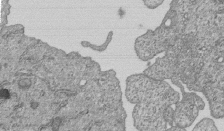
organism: Human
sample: MDA-MB-231 cells